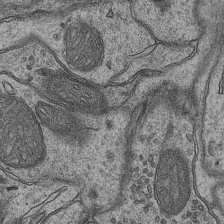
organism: Mouse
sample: CA1 Hippocampus